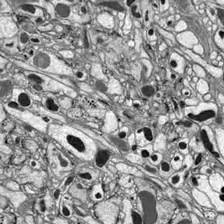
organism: Drosophila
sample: Optic lobe